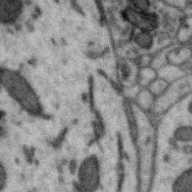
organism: Zebra finch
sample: Brain